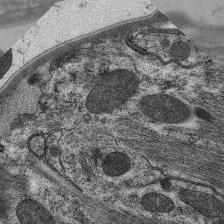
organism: C. elegans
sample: Pharynx